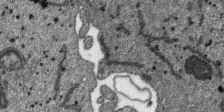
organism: Human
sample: Lung epithelial cells infected with SARS-CoV-2